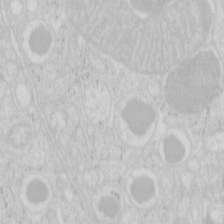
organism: Mouse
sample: Pancreas